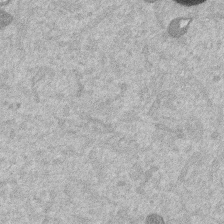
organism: Mouse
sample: Dividing mouse embryo 1 cell stage